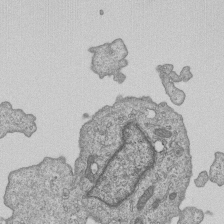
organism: Human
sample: MDA-MB-231 cells